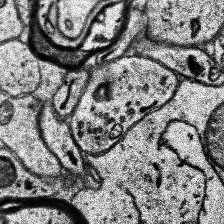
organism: Human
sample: Temporal Lobe